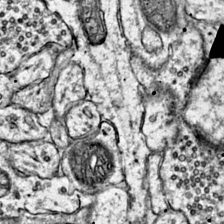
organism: Mouse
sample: Primary visual cortex